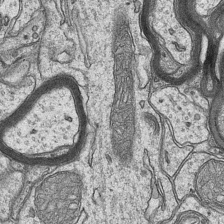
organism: Mouse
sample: CA1 Hippocampus